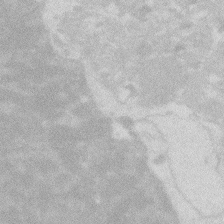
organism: Zebrafish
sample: Macrophage